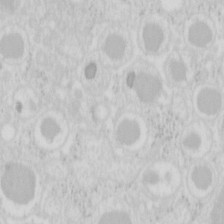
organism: Mouse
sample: Pancreas